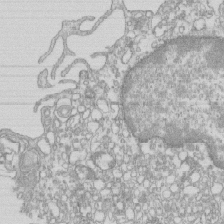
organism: Mouse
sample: Macrophages